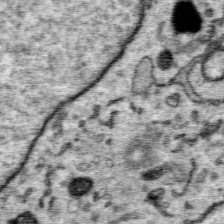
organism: Human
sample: HeLa cells